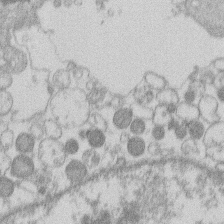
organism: Human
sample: Macrophage cells